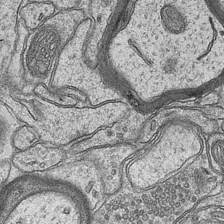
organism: Mouse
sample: CA1 Hippocampus